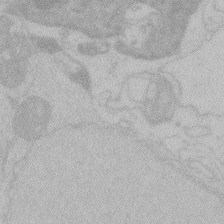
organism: Zebrafish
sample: Macrophage infected with Toxoplasma gondii